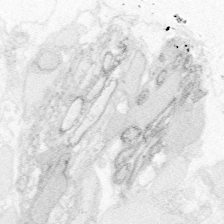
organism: Zebrafish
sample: Whole-Brain